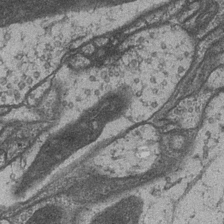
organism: Drosophila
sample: Optic medulla